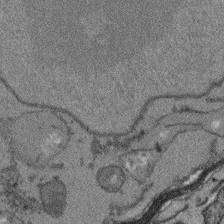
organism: Arabidopsis thaliana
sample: Root tip